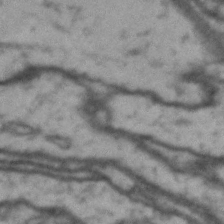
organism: Drosophila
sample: Brain